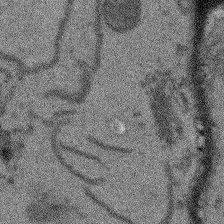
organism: Arabidopsis thaliana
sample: Root tip